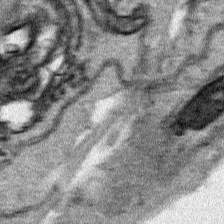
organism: Human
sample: Mitochondria in HCT116 cells